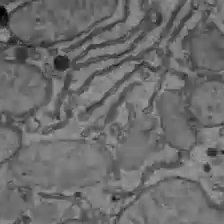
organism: C57BL Mouse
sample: Liver